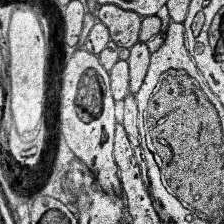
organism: Human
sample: Temporal Lobe